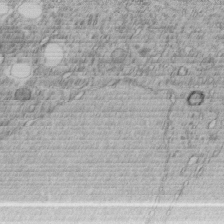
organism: C. elegans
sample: C. elegans embryo early stage